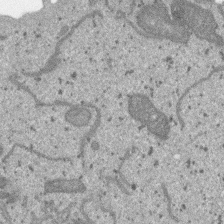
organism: Human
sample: Lung epithelial cells infected with SARS-CoV-2